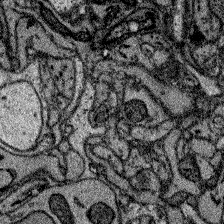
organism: Zebrafish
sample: Larval olfactory bulb